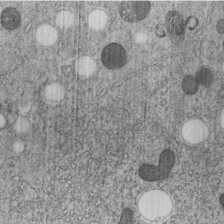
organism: C. elegans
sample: C. elegans embryo early stage